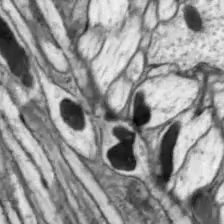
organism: Drosophila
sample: Optic lobe